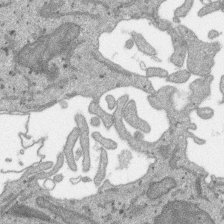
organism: Human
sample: Lung epithelial cells infected with SARS-CoV-2